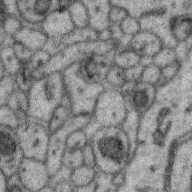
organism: Zebra finch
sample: Brain